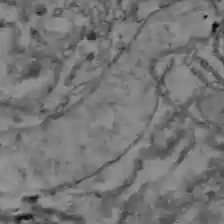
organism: C57BL Mouse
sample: Liver